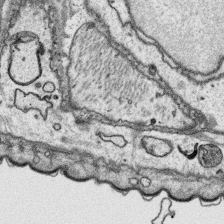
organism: Platynereis dumerilii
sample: Parapodia